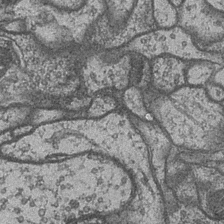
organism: Drosophila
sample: Optic medulla